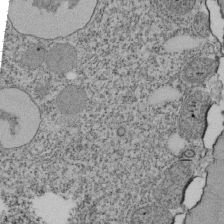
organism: Tetrahymena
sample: Cilia in tetrahymena